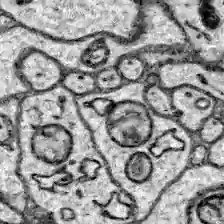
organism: Zebrafish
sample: Brain